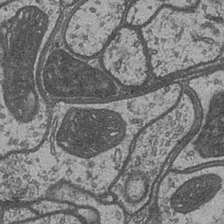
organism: Drosophila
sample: Optic medulla